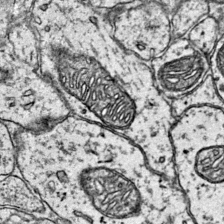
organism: Mouse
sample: Primary visual cortex